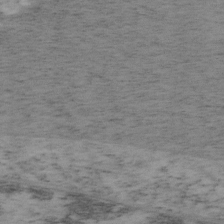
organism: Mouse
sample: OT-I killer T cells with ID8 ovarian cancer cells